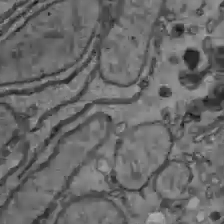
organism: C57BL Mouse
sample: Liver